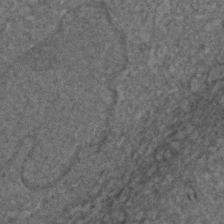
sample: Trachea